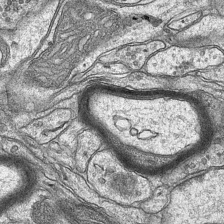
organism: Mouse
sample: CA1 Hippocampus